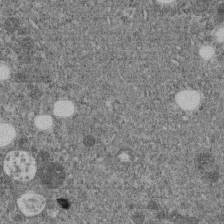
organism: C. elegans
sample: C. elegans embryo early stage